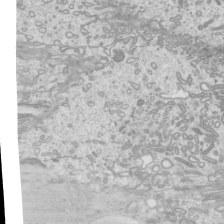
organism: Mouse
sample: Cilia; mouse epididymis